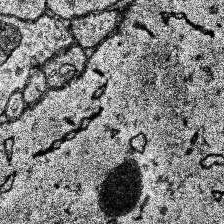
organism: Human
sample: Temporal Lobe